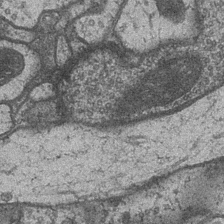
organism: Drosophila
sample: Optic medulla